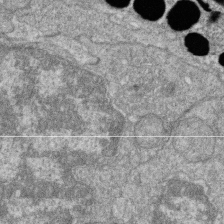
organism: Zebrafish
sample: Cilia; retinal pigment epithelium